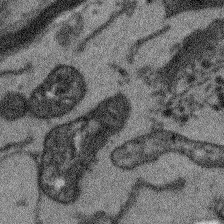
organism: Arabidopsis thaliana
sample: Root tip